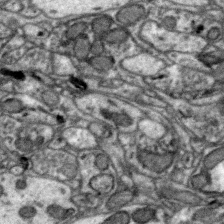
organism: Zebra finch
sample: Brain